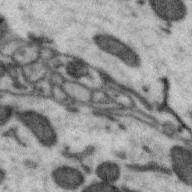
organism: Zebra finch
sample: Brain